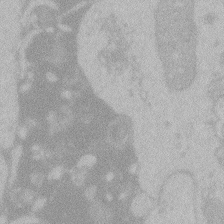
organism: Zebrafish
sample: Macrophage infected with Toxoplasma gondii